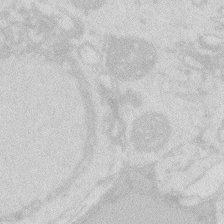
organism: Zebrafish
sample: Macrophage